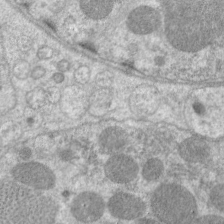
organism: C. elegans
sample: Pharynx